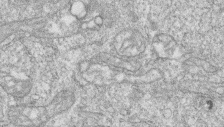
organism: Human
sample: HeLa cell HIV synapse